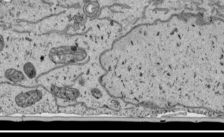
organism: Human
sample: Mitochondria in HCT116 cells